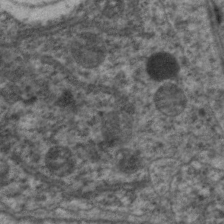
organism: C. elegans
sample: Pharynx